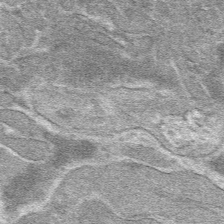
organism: Mouse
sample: Mouse hepatocytes